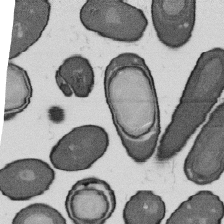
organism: B. subtilis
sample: Bacterial spore